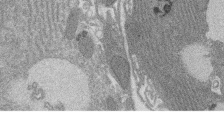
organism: Rat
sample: Salivary granule